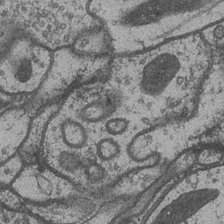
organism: Drosophila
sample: Optic medulla